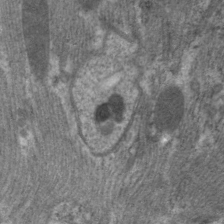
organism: C. elegans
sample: Pharynx